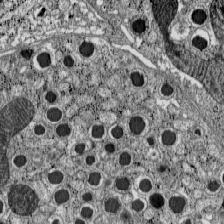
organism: C57BL Mouse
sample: Pancreatic islet